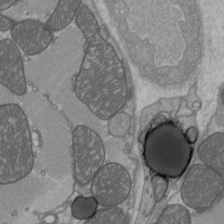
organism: C57BL Mouse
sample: Heart